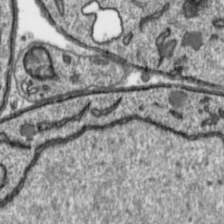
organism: Toxoplasma gondii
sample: Parasites in a vacuole inside a host cell